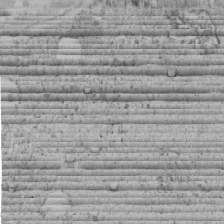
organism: C. elegans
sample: C. elegans embryo early stage